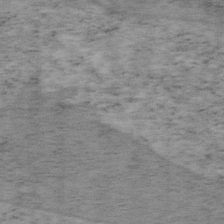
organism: Mouse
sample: OT-I killer T cells with ID8 ovarian cancer cells